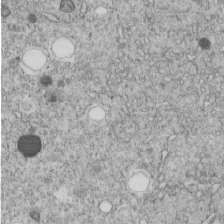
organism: C. elegans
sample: C. elegans embryo early stage